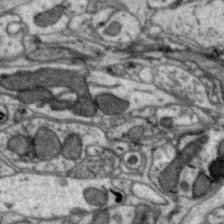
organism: Zebra finch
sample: Brain